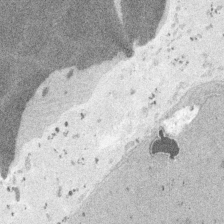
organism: Embia sp.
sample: Silk gland